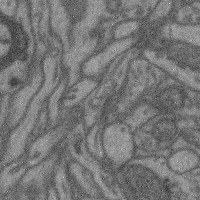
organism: Mouse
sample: Cerebral cortex